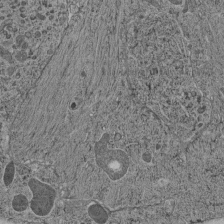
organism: C. elegans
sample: C. elegans pharynx